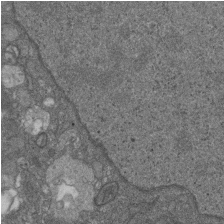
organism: Drosophila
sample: Nephrocyte